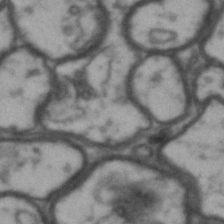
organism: Drosophila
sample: Brain